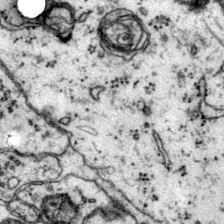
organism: Mouse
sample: Primary visual cortex